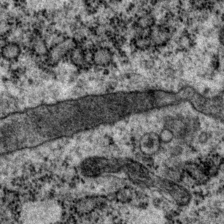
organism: P. pacificus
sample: Pharynx